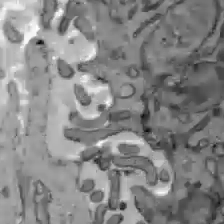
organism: C57BL Mouse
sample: Liver